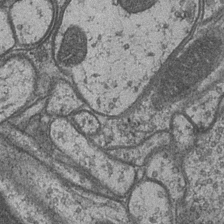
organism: Drosophila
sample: Optic medulla